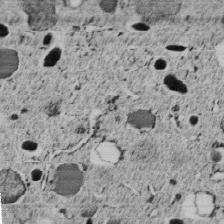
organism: C. elegans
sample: C. elegans embryo early stage